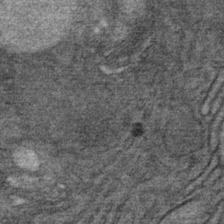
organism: Mouse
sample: Mouse Salivary gland